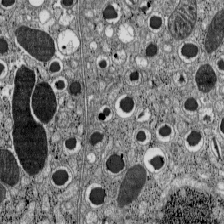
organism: C57BL Mouse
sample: Pancreatic islet